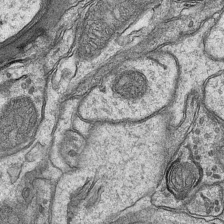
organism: Mouse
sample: CA1 Hippocampus